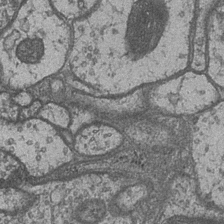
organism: Drosophila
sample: Optic medulla